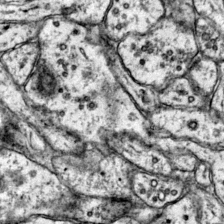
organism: Mouse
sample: Primary visual cortex